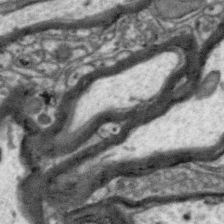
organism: Zebra finch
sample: Brain